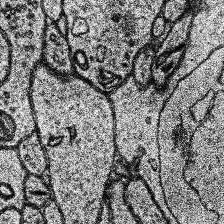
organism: Human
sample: Temporal Lobe